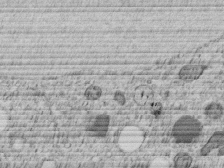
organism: C. elegans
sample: C. elegans embryo early stage